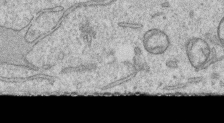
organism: Human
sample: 1205lu cells